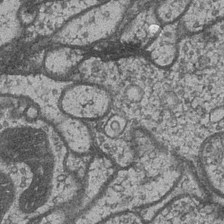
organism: Drosophila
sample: Optic medulla